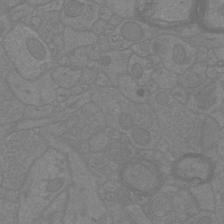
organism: Mouse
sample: Cortical neurons